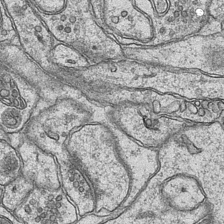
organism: Mouse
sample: CA1 Hippocampus